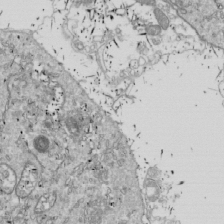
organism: Drosophila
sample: Cell division; meiosis; drosophila spermatocytes